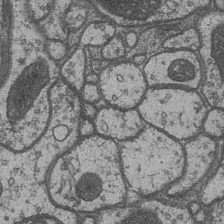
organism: Drosophila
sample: Optic medulla